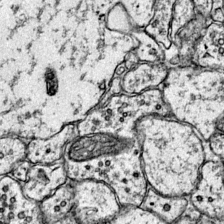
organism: Mouse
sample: Primary visual cortex